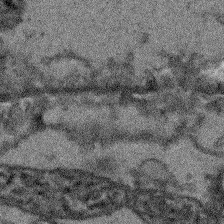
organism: Arabidopsis thaliana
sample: Root tip